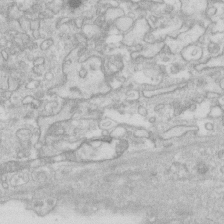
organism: Human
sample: Fibroblast cells